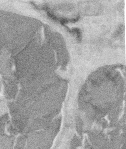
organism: Mouse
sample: T cell stromal cell synapse